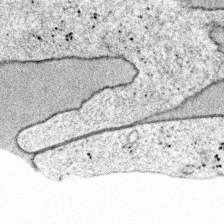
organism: Human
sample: HeLa cells